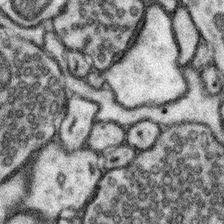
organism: Mouse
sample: Somatosensory cortex neuropil